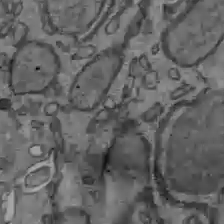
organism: C57BL Mouse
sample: Liver